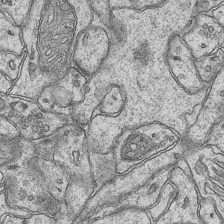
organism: Mouse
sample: CA1 Hippocampus